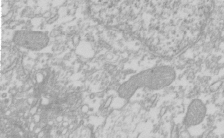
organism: Xenopus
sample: Cilia; centrioles in frog embryo cells